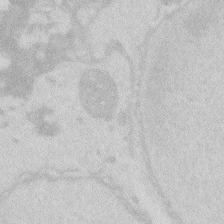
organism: Zebrafish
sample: Macrophage